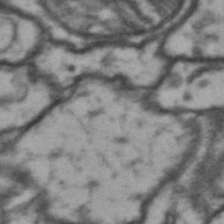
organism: Drosophila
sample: Brain